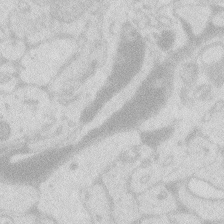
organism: Zebrafish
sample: Macrophage